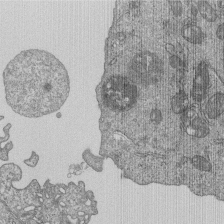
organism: Human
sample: MDA-MB-231 cells